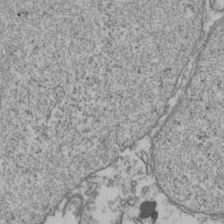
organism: Human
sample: Activated Jurkat CD4+ T cells